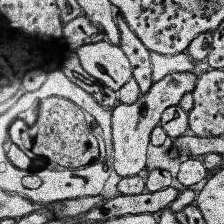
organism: Human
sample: Temporal Lobe